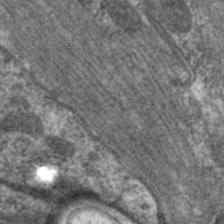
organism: C. elegans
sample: Pharynx